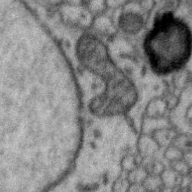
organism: Zebra finch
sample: Brain